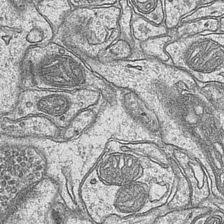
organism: Mouse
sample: CA1 Hippocampus